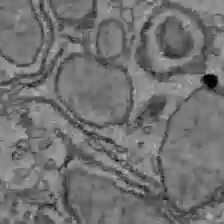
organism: C57BL Mouse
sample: Liver